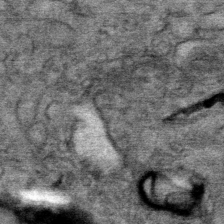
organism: Mouse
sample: Mouse Salivary gland